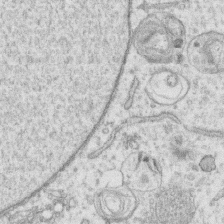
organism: Human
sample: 1205lu cells